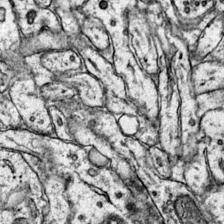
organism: Mouse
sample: Primary visual cortex